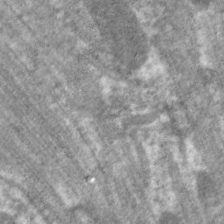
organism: C. elegans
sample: Pharynx